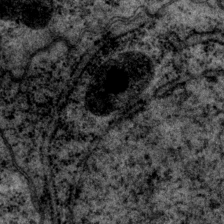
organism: P. pacificus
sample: Pharynx